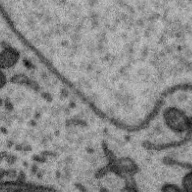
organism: Zebra finch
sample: Brain